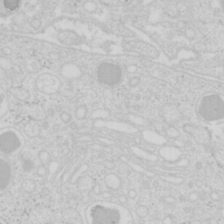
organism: Mouse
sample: Pancreas